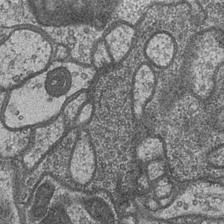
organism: Drosophila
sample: Optic medulla